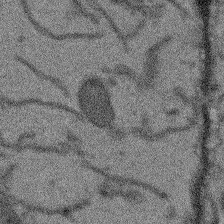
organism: Arabidopsis thaliana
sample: Root tip